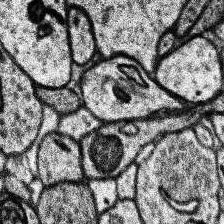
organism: Human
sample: Temporal Lobe